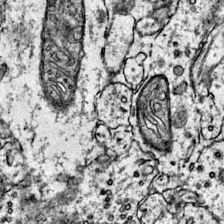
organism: Mouse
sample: Primary visual cortex